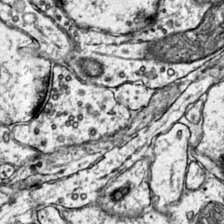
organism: Mouse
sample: Primary visual cortex